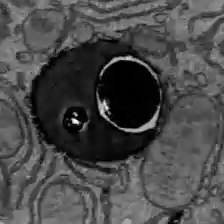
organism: C57BL Mouse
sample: Liver